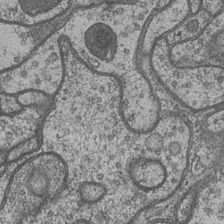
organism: Drosophila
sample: Optic medulla